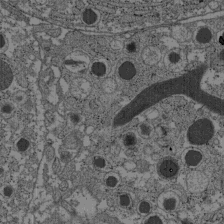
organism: C57BL Mouse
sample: Pancreatic islet